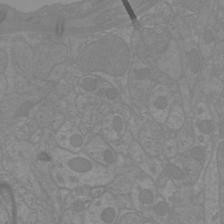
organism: Mouse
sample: Cortical neurons